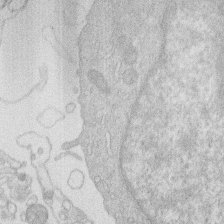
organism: Human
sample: Macrophage cells